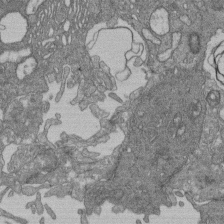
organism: Human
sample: Retinal organoid Rod and Cone cells